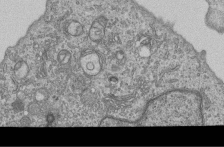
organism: Human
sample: MDA-MB-231 cells